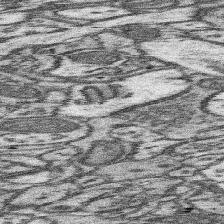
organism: Mouse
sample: Somatosensory cortex neuropil